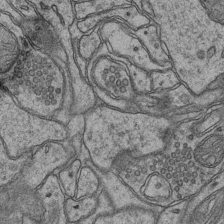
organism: Mouse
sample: CA1 Hippocampus